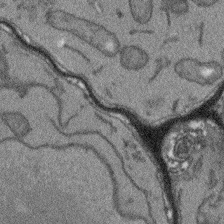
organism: Arabidopsis thaliana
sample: Root tip